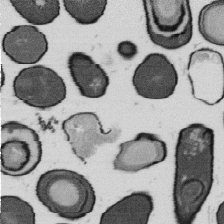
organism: B. subtilis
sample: Bacterial spore